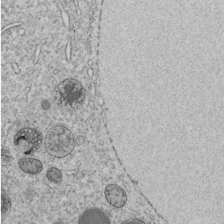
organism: C. elegans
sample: C. elegans embryo early stage